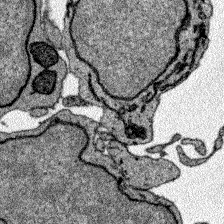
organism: Zebrafish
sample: Larval olfactory bulb